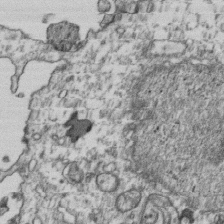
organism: Human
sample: Activated Jurkat CD4+ T cells